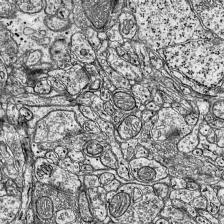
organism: Mouse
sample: Visual Cortex